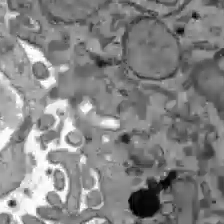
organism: C57BL Mouse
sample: Liver